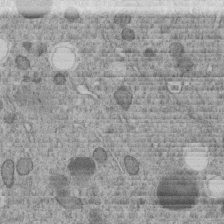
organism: C. elegans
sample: C. elegans embryo early stage